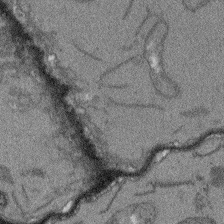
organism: Arabidopsis thaliana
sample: Root tip